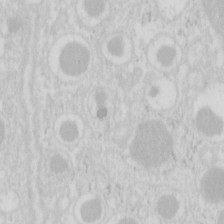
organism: Mouse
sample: Pancreas